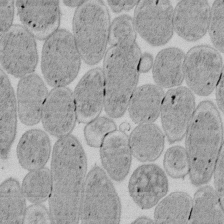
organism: E. coli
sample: Bacterial nucleoid